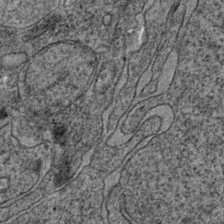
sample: Trachea